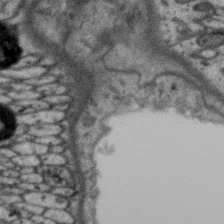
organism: Zebra finch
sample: Brain